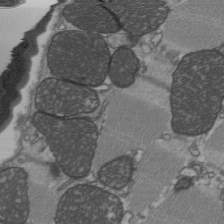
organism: C57BL Mouse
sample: Heart